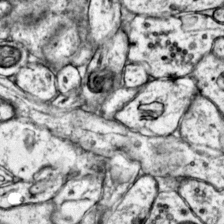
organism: Mouse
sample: Primary visual cortex